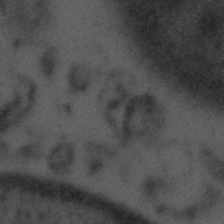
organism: Tuwongella immobilis